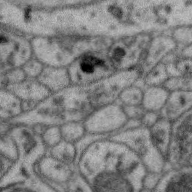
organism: Zebra finch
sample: Brain